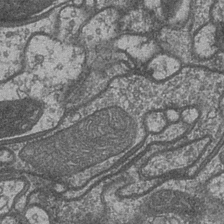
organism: Drosophila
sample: Optic medulla